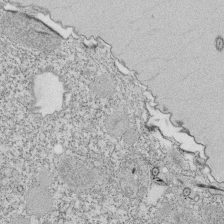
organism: Tetrahymena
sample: Cilia in tetrahymena